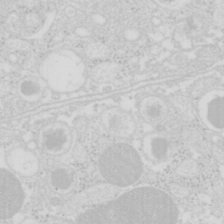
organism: Mouse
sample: Pancreas